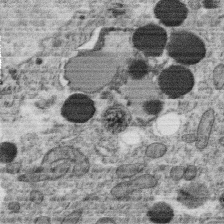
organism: C. elegans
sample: C. elegans oocyte; sperm cells